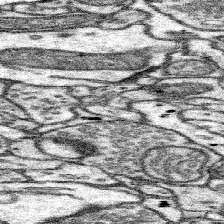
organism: Mouse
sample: Somatosensory cortex neuropil